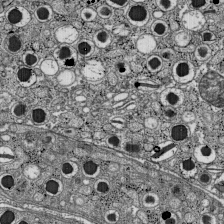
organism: C57BL Mouse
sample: Pancreatic islet